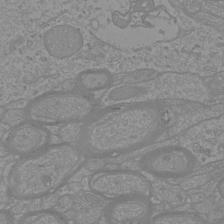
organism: Mouse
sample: Cortical neurons